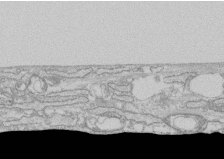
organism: Human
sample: CRL-1474